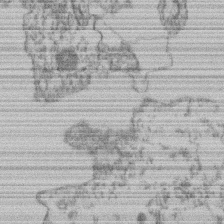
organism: Mouse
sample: T cell stromal cell synapse